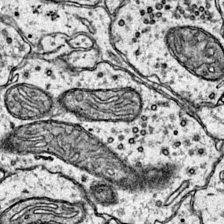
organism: Mouse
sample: Primary visual cortex